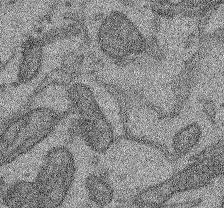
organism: Human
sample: HeLa cells